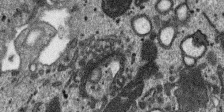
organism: Human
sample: Lung epithelial cells infected with SARS-CoV-2